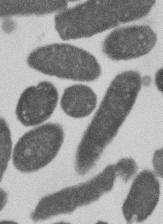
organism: E. coli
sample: Bacterial nucleoid